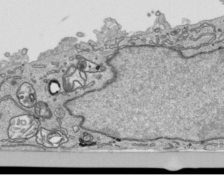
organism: Human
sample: Mitochondria in HCT116 cells